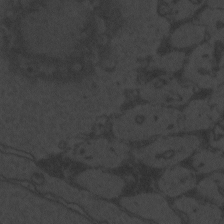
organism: Zebrafish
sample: Macrophage infected with Toxoplasma gondii